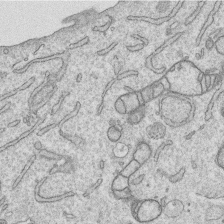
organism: Human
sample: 1205lu cells